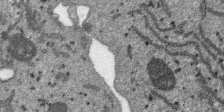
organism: Human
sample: Lung epithelial cells infected with SARS-CoV-2